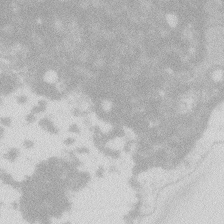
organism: Zebrafish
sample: Macrophage